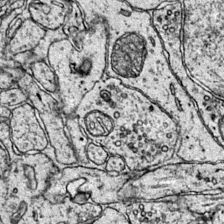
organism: Mouse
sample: Primary visual cortex